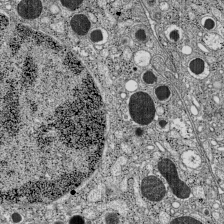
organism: C57BL Mouse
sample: Pancreatic islet